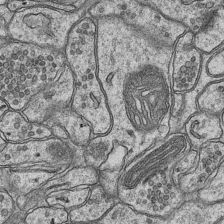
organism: Mouse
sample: CA1 Hippocampus